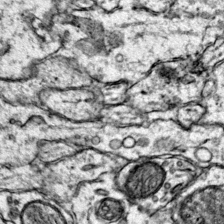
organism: Mouse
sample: Primary visual cortex